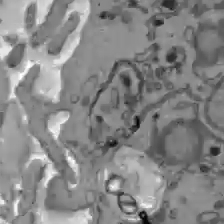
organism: C57BL Mouse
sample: Liver